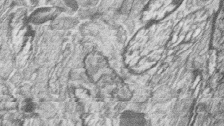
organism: Zebrafish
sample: synaptic ribbons in rod cells and cone cells